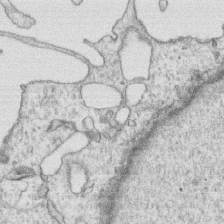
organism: Human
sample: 1205lu cells